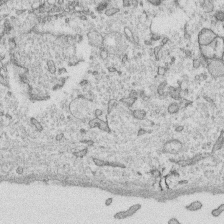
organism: Human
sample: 1205lu cells